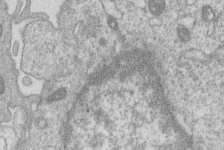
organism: Human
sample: Macrophage cells